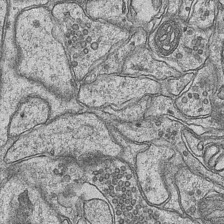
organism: Mouse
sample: CA1 Hippocampus